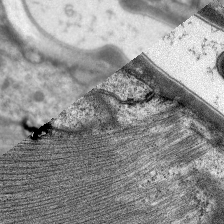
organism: C. elegans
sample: Pharynx